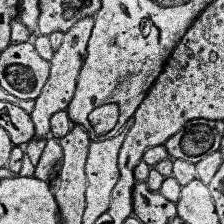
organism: Human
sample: Temporal Lobe